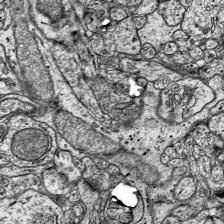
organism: Mouse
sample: Visual Cortex